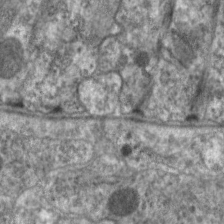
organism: C. elegans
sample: Pharynx